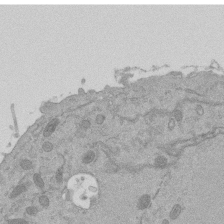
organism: Mouse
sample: ED-1 cell nuclei; centrioles